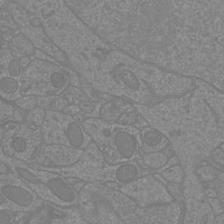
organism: Mouse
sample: Cortical neurons